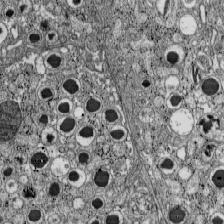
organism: C57BL Mouse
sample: Pancreatic islet